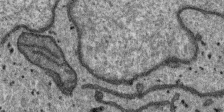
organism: Human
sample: Lung epithelial cells, uninfected (mock) control